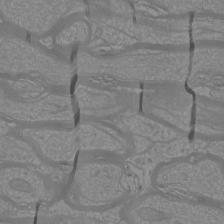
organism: Mouse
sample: Cortical neurons